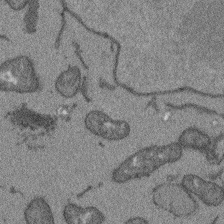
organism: Arabidopsis thaliana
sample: Root tip